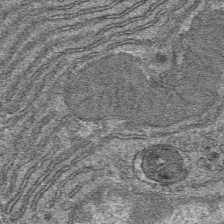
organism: Mouse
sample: Mouse hepatocytes